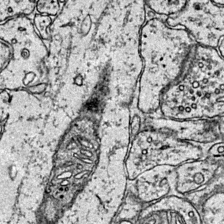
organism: Mouse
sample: Primary visual cortex